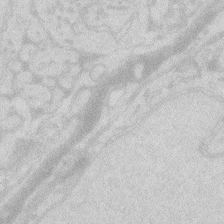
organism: Zebrafish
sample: Macrophage